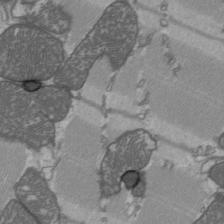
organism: C57BL Mouse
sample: Heart